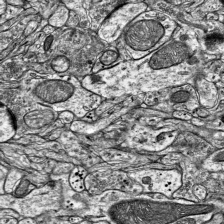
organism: Mouse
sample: Visual Cortex